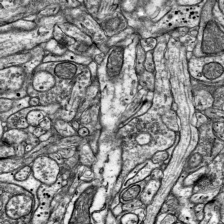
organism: Mouse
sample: Visual Cortex